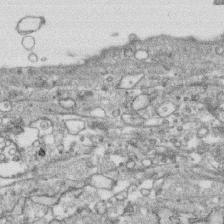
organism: Human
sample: CRL-1474